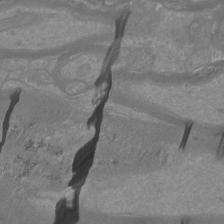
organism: Mouse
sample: Cortical neurons